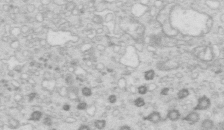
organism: Mouse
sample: Multiciliated cells